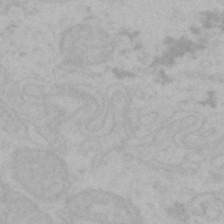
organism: Mouse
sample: Choroid plexus